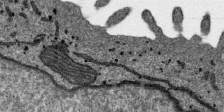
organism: Human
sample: Lung epithelial cells, uninfected (mock) control